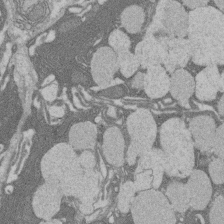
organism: Rat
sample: Salivary granule